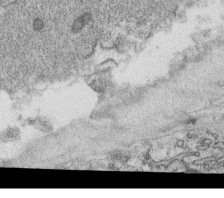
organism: C. elegans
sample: C. elegans oocyte; sperm cells